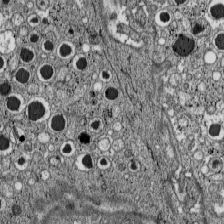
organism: C57BL Mouse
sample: Pancreatic islet